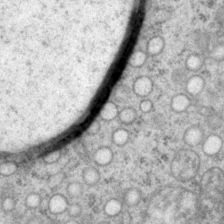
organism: P. pacificus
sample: Pharynx